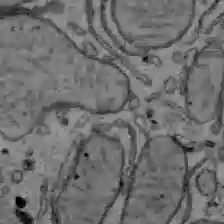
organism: C57BL Mouse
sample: Liver